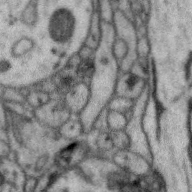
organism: Zebra finch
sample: Brain